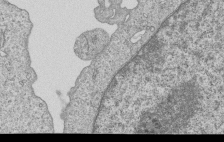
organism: Human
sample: MDA-MB-231 cells